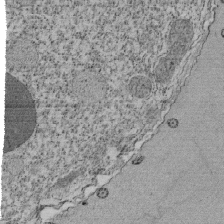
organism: Tetrahymena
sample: Cilia in tetrahymena